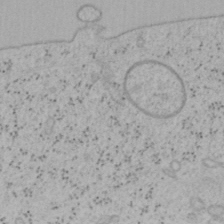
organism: Human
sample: HeLa cells